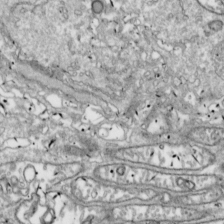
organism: Drosophila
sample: Cell division; meiosis; drosophila spermatocytes